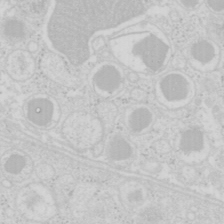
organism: Mouse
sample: Pancreas